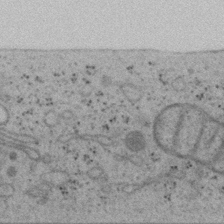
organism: Human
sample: HeLa cells